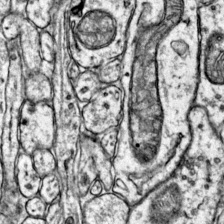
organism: Mouse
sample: Primary visual cortex